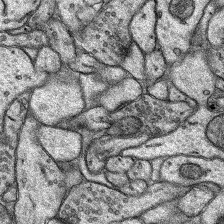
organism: Rat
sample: Hippocampus